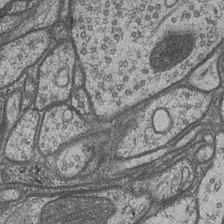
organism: Drosophila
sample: Optic medulla